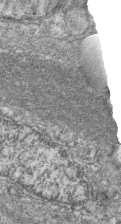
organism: Zebrafish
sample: Cilia; retinal pigment epithelium